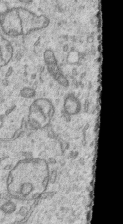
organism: Human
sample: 1205lu cells